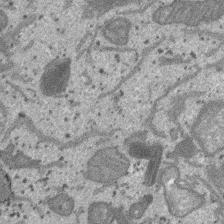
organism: Human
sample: Lung epithelial cells infected with SARS-CoV-2